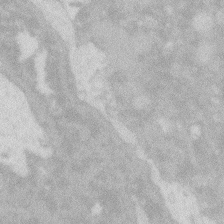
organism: Zebrafish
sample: Macrophage